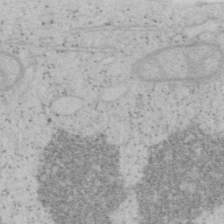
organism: Human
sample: HeLa cells